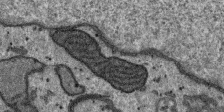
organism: Human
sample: Lung epithelial cells, uninfected (mock) control